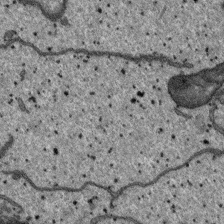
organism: Human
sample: Lung epithelial cells, uninfected (mock) control